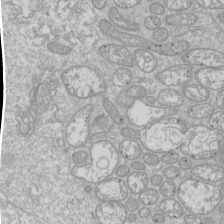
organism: Drosophila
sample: Cell division; meiosis; drosophila spermatocytes